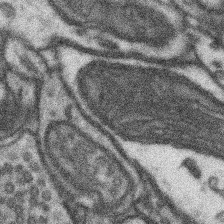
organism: Mouse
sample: Somatosensory cortex neuropil